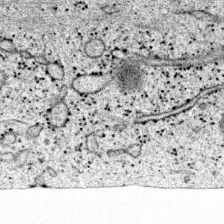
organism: Human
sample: HeLa cells